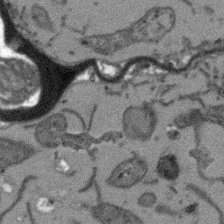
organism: Arabidopsis thaliana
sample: Root tip